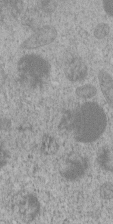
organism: C. elegans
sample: C. elegans embryo early stage